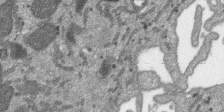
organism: Human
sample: Lung epithelial cells infected with SARS-CoV-2